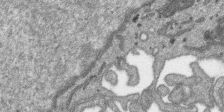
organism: Human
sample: Lung epithelial cells infected with SARS-CoV-2